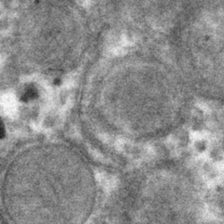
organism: Mouse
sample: Mouse hepatocytes